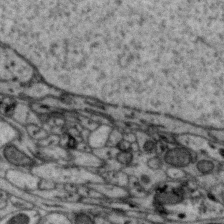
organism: Zebra finch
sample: Brain